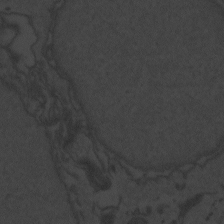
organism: Zebrafish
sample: Macrophage infected with Toxoplasma gondii